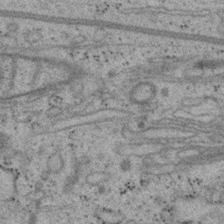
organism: Human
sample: HeLa cells